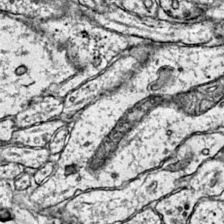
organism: Mouse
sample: Primary visual cortex